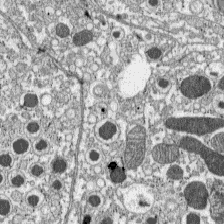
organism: C57BL Mouse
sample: Pancreatic islet